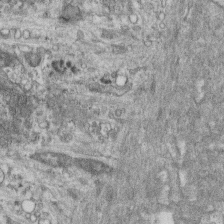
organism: Mouse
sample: Centriole in ependymal cells